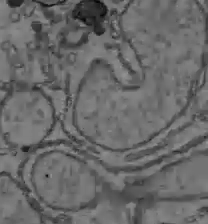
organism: C57BL Mouse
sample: Liver